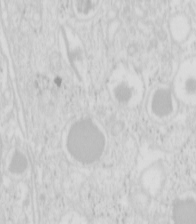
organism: Mouse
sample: Pancreas